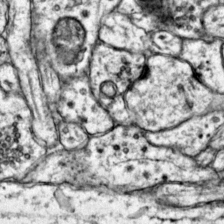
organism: Mouse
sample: Primary visual cortex